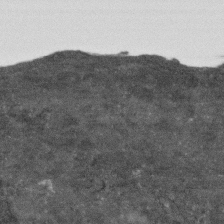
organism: Human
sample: Fibroblast cells